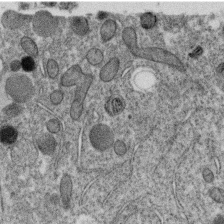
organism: C. elegans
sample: C. elegans oocyte; sperm cells